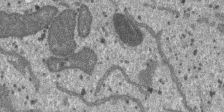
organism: Human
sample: Lung epithelial cells infected with SARS-CoV-2